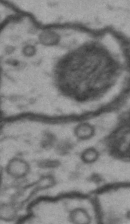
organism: Drosophila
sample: Brain